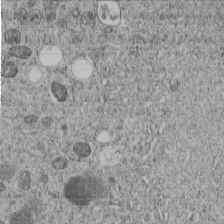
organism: C. elegans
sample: C. elegans embryo early stage